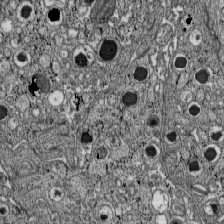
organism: C57BL Mouse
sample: Pancreatic islet